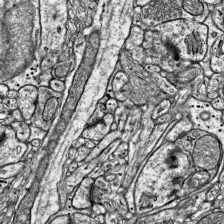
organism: Mouse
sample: Visual Cortex